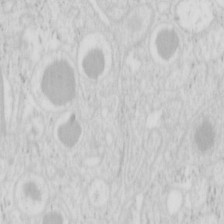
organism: Mouse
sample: Pancreas